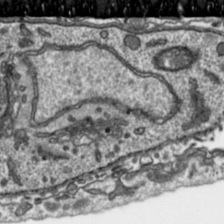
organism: Toxoplasma gondii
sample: Parasites in a vacuole inside a host cell